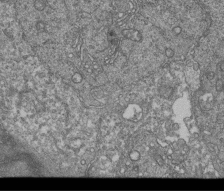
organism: Human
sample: Retinal organoid Rod and Cone cells